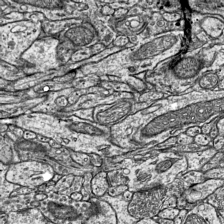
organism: Mouse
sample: Visual Cortex